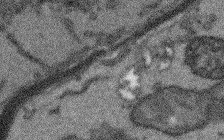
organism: Arabidopsis thaliana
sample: Root tip